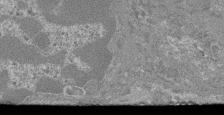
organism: Mouse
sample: Glomerulus